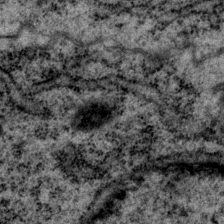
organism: P. pacificus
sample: Pharynx